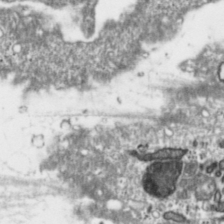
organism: Toxoplasma gondii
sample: Parasites in a vacuole inside a host cell